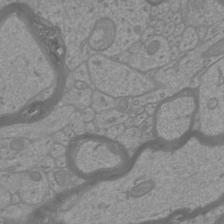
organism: Mouse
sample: Cortical neurons